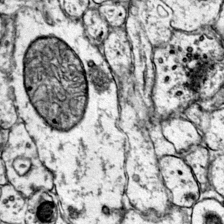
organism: Mouse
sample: Primary visual cortex